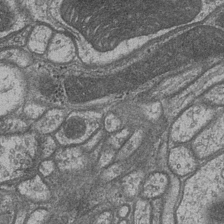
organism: Drosophila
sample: Optic medulla